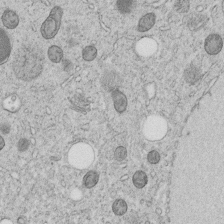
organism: C. elegans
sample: C. elegans embryo early stage